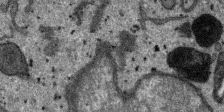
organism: Human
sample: Lung epithelial cells, uninfected (mock) control